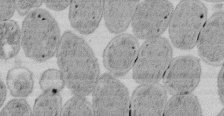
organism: E. coli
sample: Bacterial nucleoid